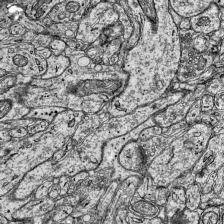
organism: Mouse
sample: Visual Cortex